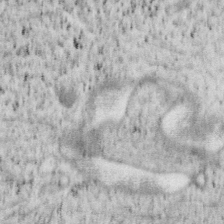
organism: Mouse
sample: OT-I killer T cells with ID8 ovarian cancer cells